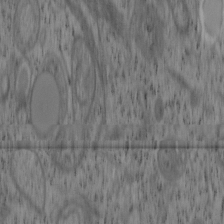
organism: Human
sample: HeLa cells